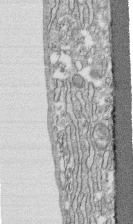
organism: Human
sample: CRL-1474